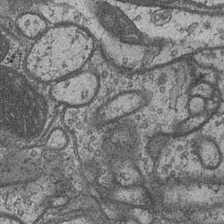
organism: Drosophila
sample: Optic medulla